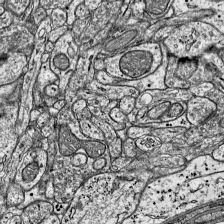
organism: Mouse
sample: Visual Cortex